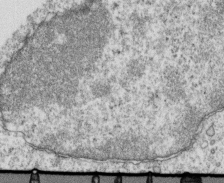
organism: Mouse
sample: Activated OT-1 CD8+ T cells